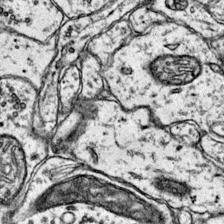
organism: Mouse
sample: Primary visual cortex